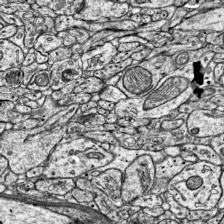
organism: Mouse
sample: Visual Cortex